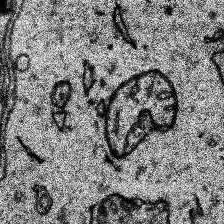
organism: Human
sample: Temporal Lobe